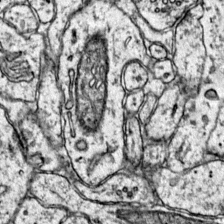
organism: Mouse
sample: Primary visual cortex